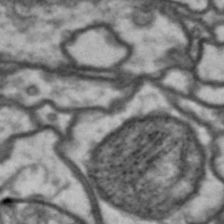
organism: Drosophila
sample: Brain